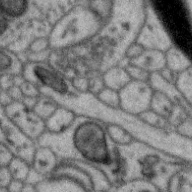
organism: Zebra finch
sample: Brain